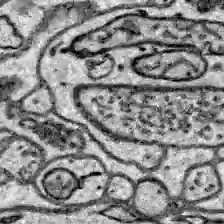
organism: Zebrafish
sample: Brain